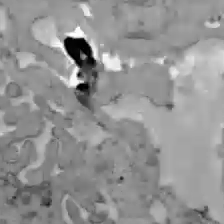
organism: C57BL Mouse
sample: Liver